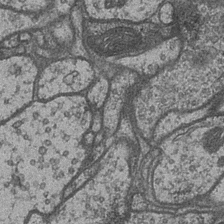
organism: Drosophila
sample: Optic medulla